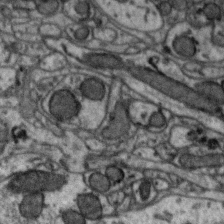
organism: Zebra finch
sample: Brain